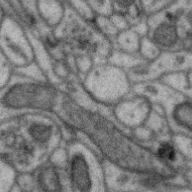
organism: Zebra finch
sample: Brain